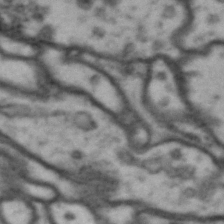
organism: Drosophila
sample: Brain